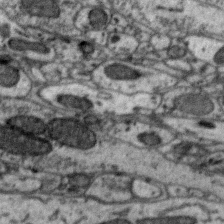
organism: Zebra finch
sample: Brain